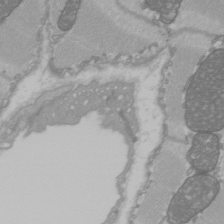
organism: C57BL Mouse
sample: Heart